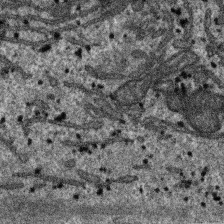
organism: Human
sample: Lung epithelial cells infected with SARS-CoV-2